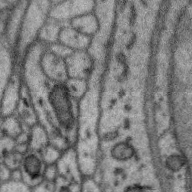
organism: Zebra finch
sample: Brain